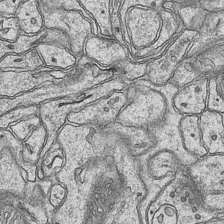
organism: Mouse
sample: CA1 Hippocampus